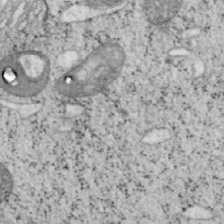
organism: Mouse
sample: OT-I killer T cells with ID8 ovarian cancer cells